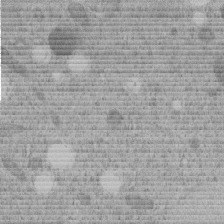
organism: C. elegans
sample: C. elegans embryo early stage